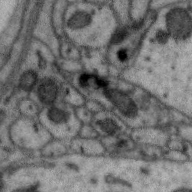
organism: Zebra finch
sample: Brain